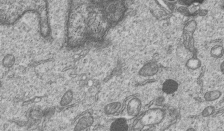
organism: Human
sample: MDA-MB-231 cells